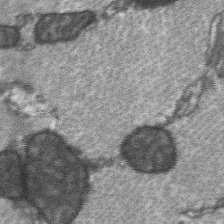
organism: C57BL Mouse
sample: Soleus